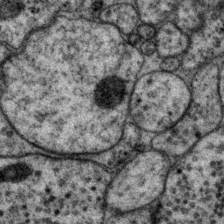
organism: P. pacificus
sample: Pharynx